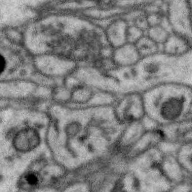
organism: Zebra finch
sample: Brain